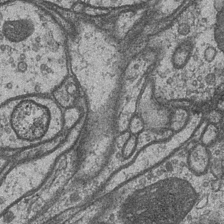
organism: Drosophila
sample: Optic medulla